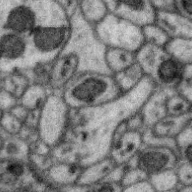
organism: Zebra finch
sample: Brain